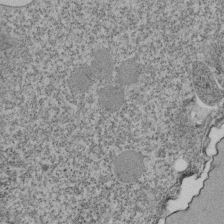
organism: Tetrahymena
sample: Cilia in tetrahymena